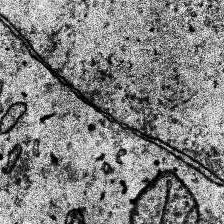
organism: Human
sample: Temporal Lobe